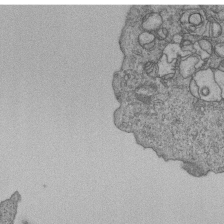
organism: Human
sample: MDA-MB-231 cells